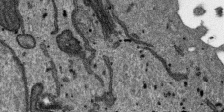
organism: Human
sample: Lung epithelial cells, uninfected (mock) control